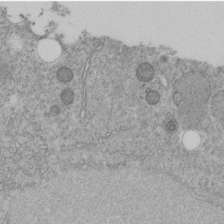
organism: C. elegans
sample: C. elegans embryo early stage